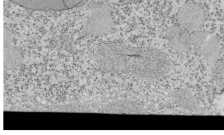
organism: Tetrahymena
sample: Cilia in tetrahymena